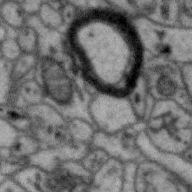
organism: Zebra finch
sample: Brain